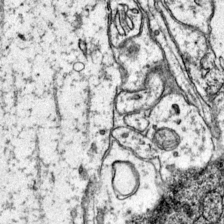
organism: Mouse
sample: Primary visual cortex